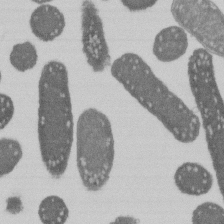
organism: E. coli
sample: Bacterial nucleoid